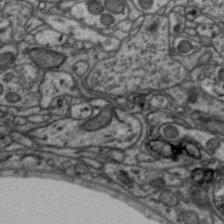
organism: Zebra finch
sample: Brain